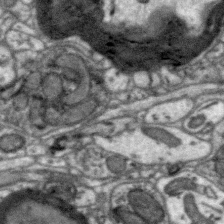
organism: Zebra finch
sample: Brain